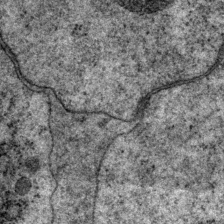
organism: P. pacificus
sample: Pharynx